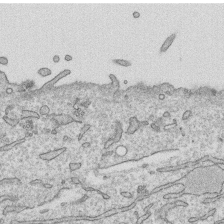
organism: Human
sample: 1205lu cells